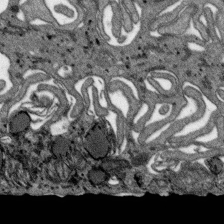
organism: Human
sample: Lung epithelial cells, uninfected (mock) control